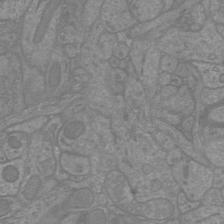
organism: Mouse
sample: Cortical neurons